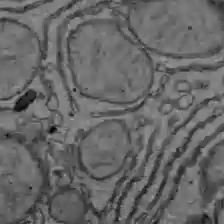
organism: C57BL Mouse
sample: Liver